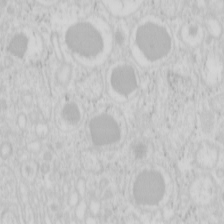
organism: Mouse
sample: Pancreas